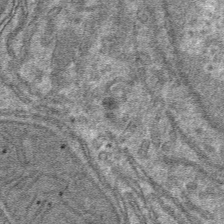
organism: Mouse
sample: Mouse hepatocytes